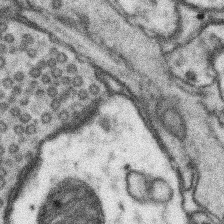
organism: Mouse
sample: Somatosensory cortex neuropil